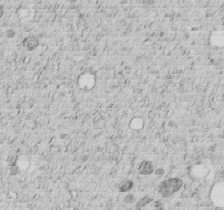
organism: C. elegans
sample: C. elegans embryo early stage